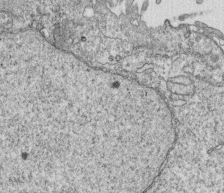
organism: Human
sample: HeLa cell HIV synapse